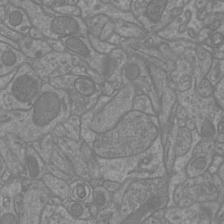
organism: Mouse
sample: Cortical neurons